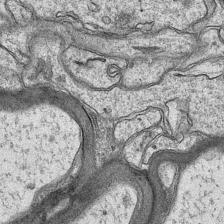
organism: Mouse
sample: CA1 Hippocampus